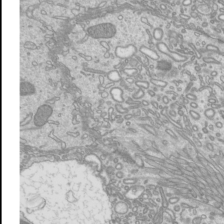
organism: Mouse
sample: Cilia; mouse epididymis